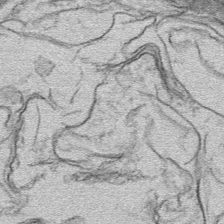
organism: Mouse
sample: Mouse hepatocytes